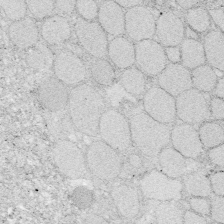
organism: Zebrafish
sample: Whole-Brain